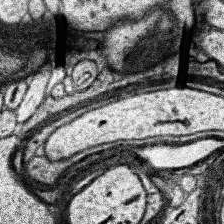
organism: Human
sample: Temporal Lobe